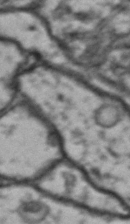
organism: Drosophila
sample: Brain